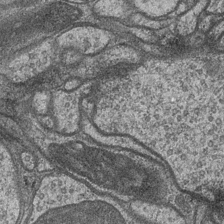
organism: Drosophila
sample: Optic medulla